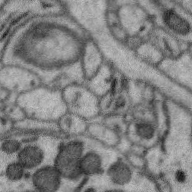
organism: Zebra finch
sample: Brain